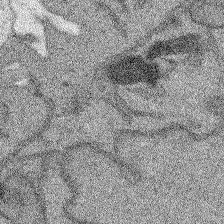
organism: Human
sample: HeLa cells